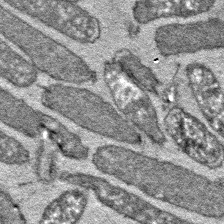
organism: E. coli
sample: E. Coli Bacteria